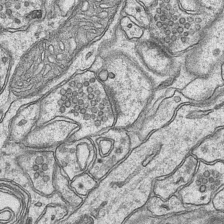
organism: Mouse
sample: CA1 Hippocampus